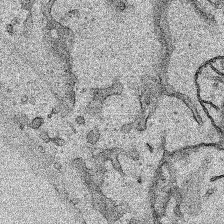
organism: Human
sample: Mitochondria in HCT116 cells